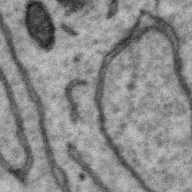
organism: Zebra finch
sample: Brain